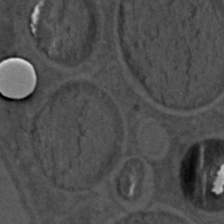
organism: C. elegans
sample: C. elegans embryo